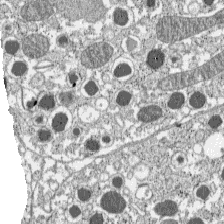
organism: C57BL Mouse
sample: Pancreatic islet